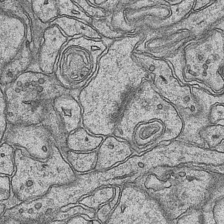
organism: Mouse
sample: CA1 Hippocampus